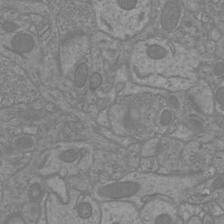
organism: Mouse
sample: Cortical neurons